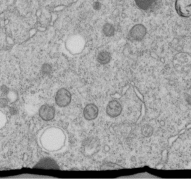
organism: C. elegans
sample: C. elegans embryo early stage